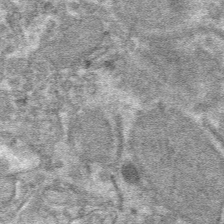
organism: Mouse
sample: Mouse hepatocytes